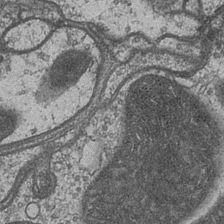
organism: Drosophila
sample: Optic medulla